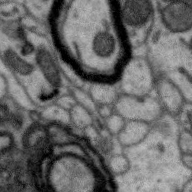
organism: Zebra finch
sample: Brain